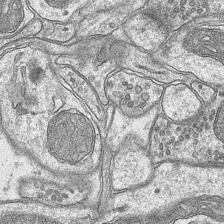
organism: Mouse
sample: CA1 Hippocampus